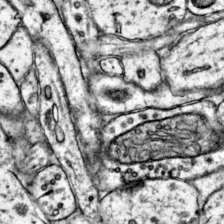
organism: Mouse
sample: Primary visual cortex